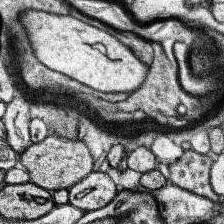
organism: Human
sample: Temporal Lobe